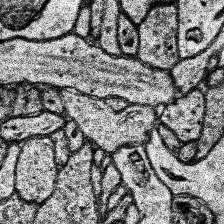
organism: Human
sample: Temporal Lobe